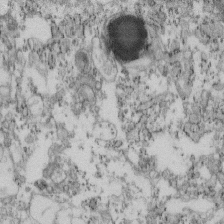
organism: Mouse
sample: Cilia; retinal pigment epithelium